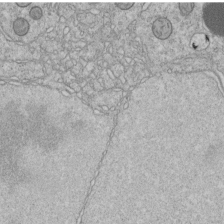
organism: C. elegans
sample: C. elegans embryo early stage